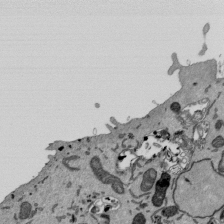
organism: Mouse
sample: ED-1 cell nuclei; centrioles